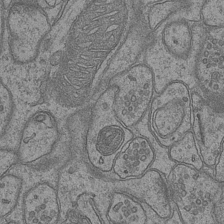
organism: Mouse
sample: CA1 Hippocampus